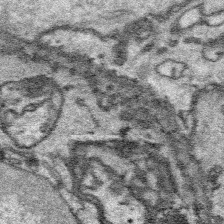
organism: Platynereis dumerilii